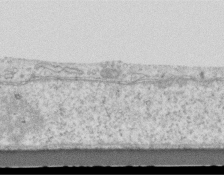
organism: Mouse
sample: Centriole in ependymal cells